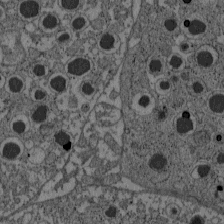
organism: C57BL Mouse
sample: Pancreatic islet